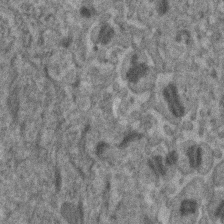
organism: Human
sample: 1205lu cells